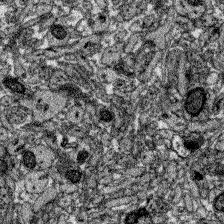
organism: Zebrafish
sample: Larval olfactory bulb